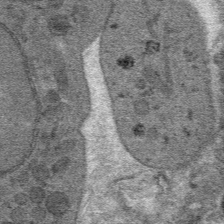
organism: Mouse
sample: Mouse hepatocytes